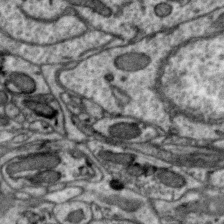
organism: Zebra finch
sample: Brain